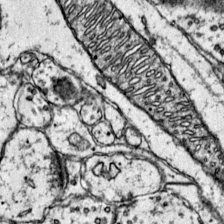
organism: Mouse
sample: Primary visual cortex